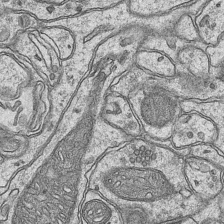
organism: Mouse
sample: CA1 Hippocampus